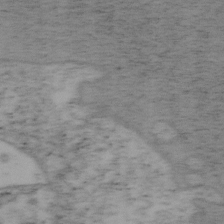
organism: Mouse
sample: OT-I killer T cells with ID8 ovarian cancer cells